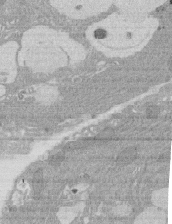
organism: Rat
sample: Salivary granule